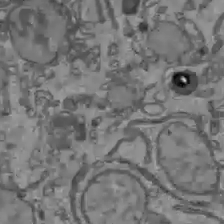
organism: C57BL Mouse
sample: Liver